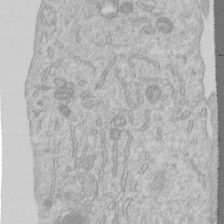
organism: Human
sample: Centriole in RPE cells